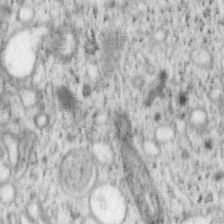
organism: Mouse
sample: OT-I killer T cells with ID8 ovarian cancer cells